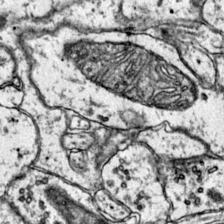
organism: Mouse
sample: Primary visual cortex